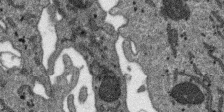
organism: Human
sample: Lung epithelial cells infected with SARS-CoV-2